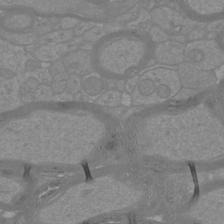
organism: Mouse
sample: Cortical neurons